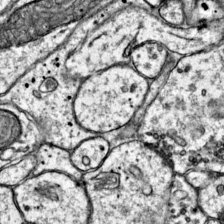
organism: Mouse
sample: Primary visual cortex